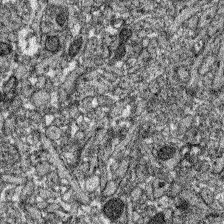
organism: Zebrafish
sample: Larval olfactory bulb